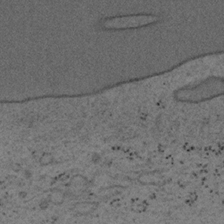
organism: Human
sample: HeLa cells